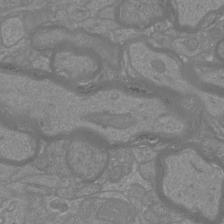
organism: Mouse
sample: Cortical neurons